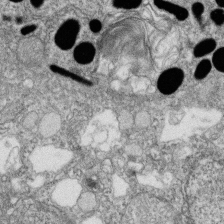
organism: Zebrafish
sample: Cilia; retinal pigment epithelium